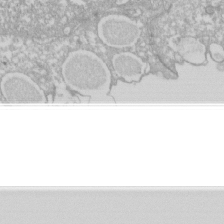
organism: Xenopus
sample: Cilia; centrioles in frog embryo cells